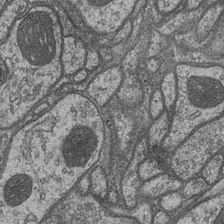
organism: Drosophila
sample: Optic medulla